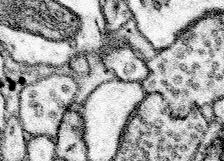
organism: Mouse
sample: Somatosensory cortex neuropil